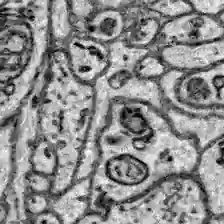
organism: Zebrafish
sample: Brain